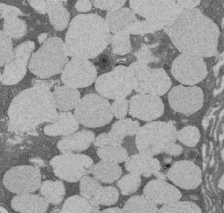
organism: Rat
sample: Salivary granule